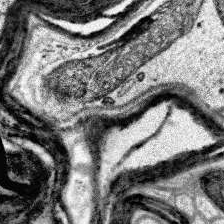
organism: Human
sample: Temporal Lobe